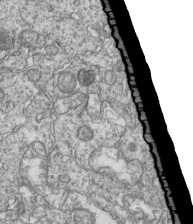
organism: Human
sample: HeLa cell HIV synapse